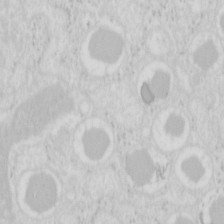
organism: Mouse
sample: Pancreas